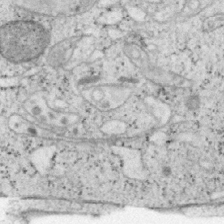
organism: Mouse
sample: OT-I killer T cells with ID8 ovarian cancer cells